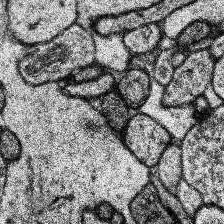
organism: Human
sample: Temporal Lobe